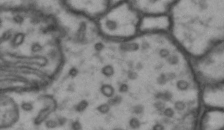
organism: Drosophila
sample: Brain